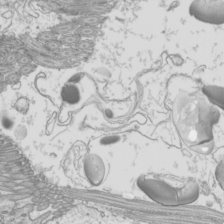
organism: Mouse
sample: Cilia; mouse epididymis